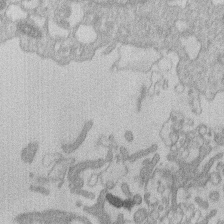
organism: Human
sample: Macrophage cells